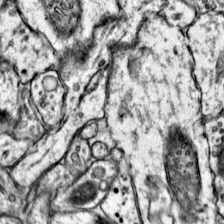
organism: Mouse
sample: Primary visual cortex